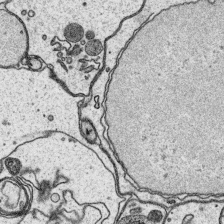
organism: Platynereis dumerilii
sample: Parapodia